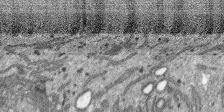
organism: Human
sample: Lung epithelial cells infected with SARS-CoV-2